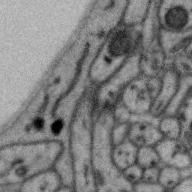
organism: Zebra finch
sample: Brain